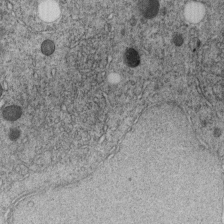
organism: C. elegans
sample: C. elegans embryo early stage